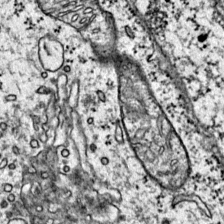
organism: Mouse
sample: Primary visual cortex